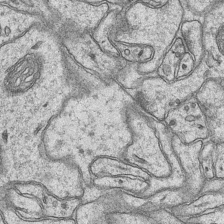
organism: Mouse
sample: CA1 Hippocampus